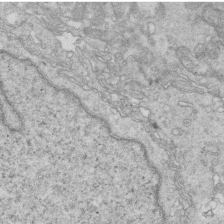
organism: Mouse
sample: Multiciliated cells